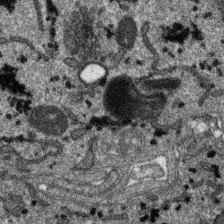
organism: Human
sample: Lung epithelial cells infected with SARS-CoV-2